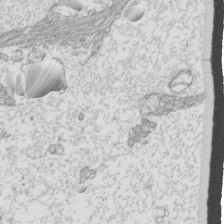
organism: Mouse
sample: Cilia; mouse epididymis